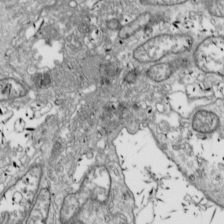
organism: Drosophila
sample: Cell division; meiosis; drosophila spermatocytes